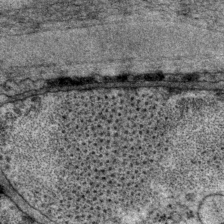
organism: P. pacificus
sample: Pharynx